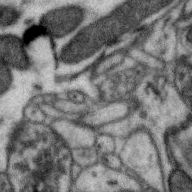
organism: Zebra finch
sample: Brain